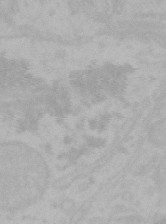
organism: Mouse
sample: Choroid plexus